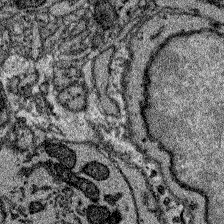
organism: Zebrafish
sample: Larval olfactory bulb